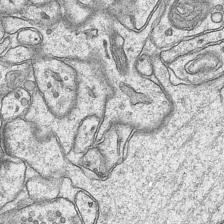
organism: Mouse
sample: CA1 Hippocampus